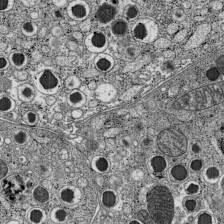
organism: C57BL Mouse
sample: Pancreatic islet